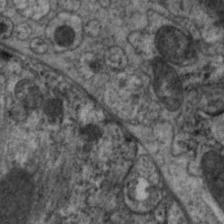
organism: C. elegans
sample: Pharynx